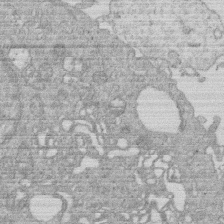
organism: Human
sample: Macrophage cells